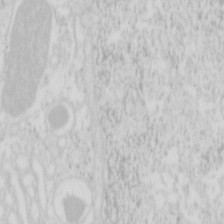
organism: Mouse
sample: Pancreas